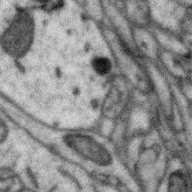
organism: Zebra finch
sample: Brain